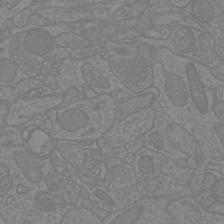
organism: Mouse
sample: Cortical neurons